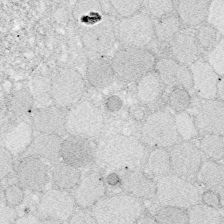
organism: Zebrafish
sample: Whole-Brain